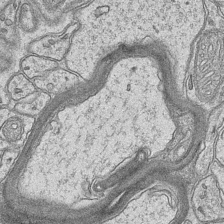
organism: Mouse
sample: CA1 Hippocampus